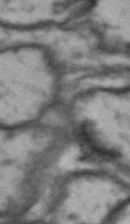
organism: Drosophila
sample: Brain